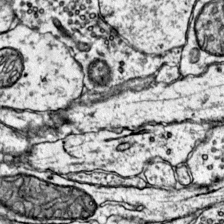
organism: Mouse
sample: Primary visual cortex